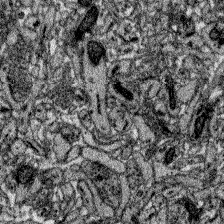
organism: Zebrafish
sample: Larval olfactory bulb